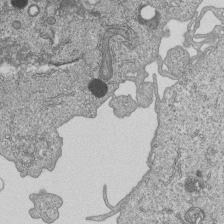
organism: Human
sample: MDA-MB-231 cells